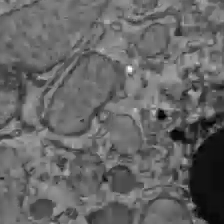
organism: C57BL Mouse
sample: Liver